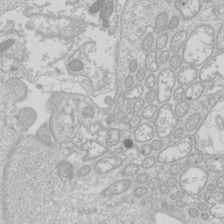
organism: Drosophila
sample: Cell division; meiosis; drosophila spermatocytes